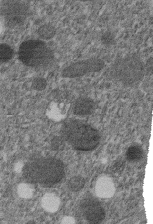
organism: C. elegans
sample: C. elegans embryo early stage